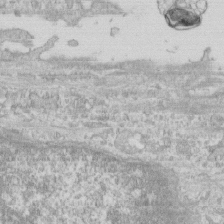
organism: Human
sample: CRL-1474